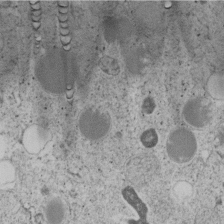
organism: C. elegans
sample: C. elegans embryo early stage